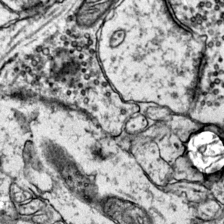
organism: Mouse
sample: Primary visual cortex